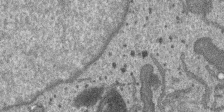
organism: Human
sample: Lung epithelial cells infected with SARS-CoV-2